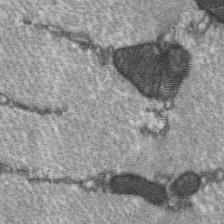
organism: C57BL Mouse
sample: Soleus